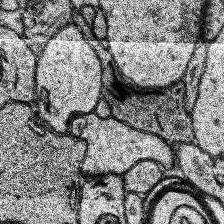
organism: Human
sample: Temporal Lobe